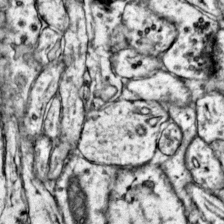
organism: Mouse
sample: Primary visual cortex